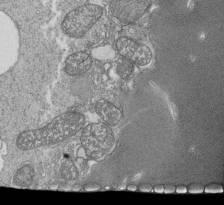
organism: Tetrahymena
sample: Cilia in tetrahymena